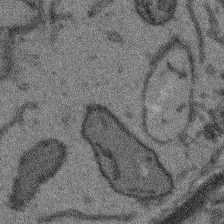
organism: Arabidopsis thaliana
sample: Root tip